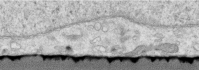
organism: Human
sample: Centriole in RPE cells